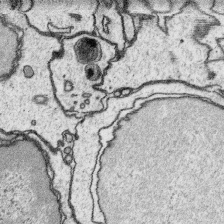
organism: Platynereis dumerilii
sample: Parapodia